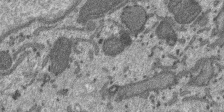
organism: Human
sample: Lung epithelial cells infected with SARS-CoV-2